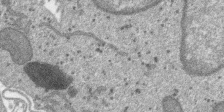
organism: Human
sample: Lung epithelial cells infected with SARS-CoV-2